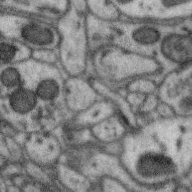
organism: Zebra finch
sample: Brain